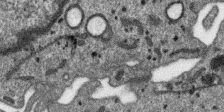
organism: Human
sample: Lung epithelial cells infected with SARS-CoV-2